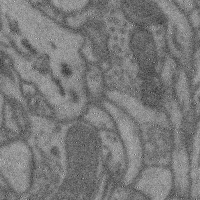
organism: Mouse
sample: Cerebral cortex